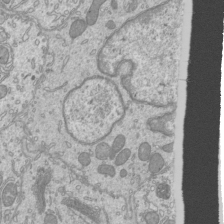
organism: Mouse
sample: Cilia; mouse epididymis